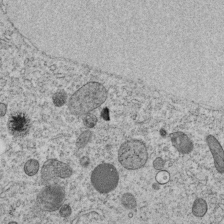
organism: C. elegans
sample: C. elegans embryo early stage